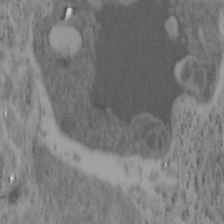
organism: Mouse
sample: OT-I killer T cells with ID8 ovarian cancer cells